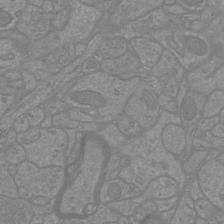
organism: Mouse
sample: Cortical neurons